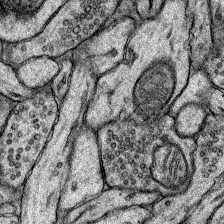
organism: Rat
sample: Hippocampus